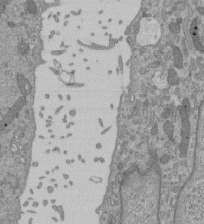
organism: Mouse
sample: ED-1 cell nuclei; centrioles